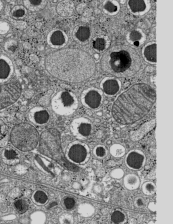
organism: C57BL Mouse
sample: Pancreatic islet